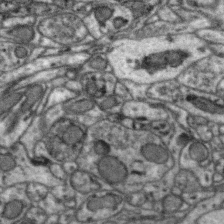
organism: Zebra finch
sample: Brain